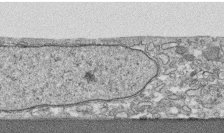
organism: Human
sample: CRL-1474